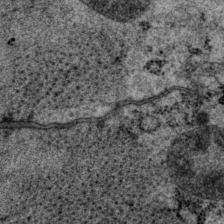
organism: P. pacificus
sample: Pharynx